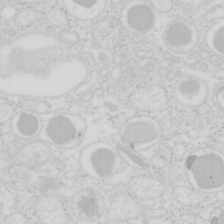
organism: Mouse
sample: Pancreas